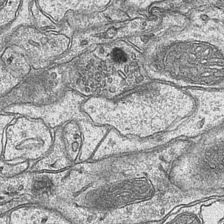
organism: Mouse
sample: CA1 Hippocampus